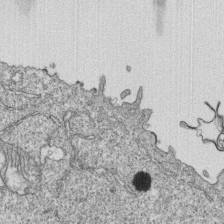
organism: Human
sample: HeLa cell HIV synapse